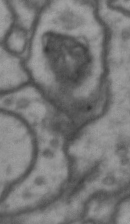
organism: Drosophila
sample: Brain